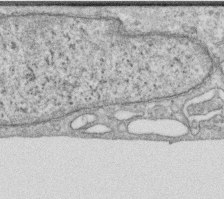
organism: Human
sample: Centriole in RPE cells